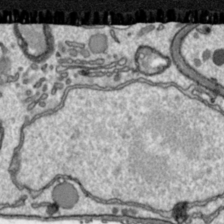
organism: Toxoplasma gondii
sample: Parasites in a vacuole inside a host cell